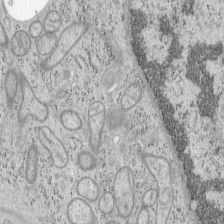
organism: Mouse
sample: OT-I killer T cells with ID8 ovarian cancer cells